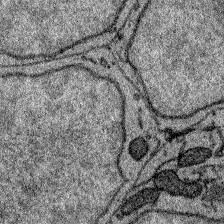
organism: Zebrafish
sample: Larval olfactory bulb